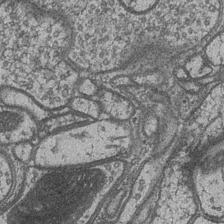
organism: Drosophila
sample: Optic medulla